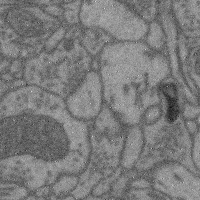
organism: Mouse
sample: Cerebral cortex